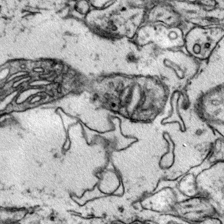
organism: Mouse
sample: Primary visual cortex